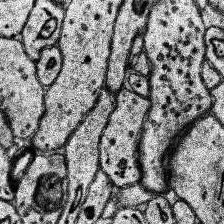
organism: Human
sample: Temporal Lobe